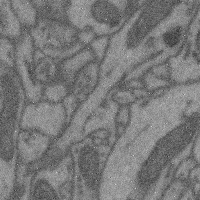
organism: Mouse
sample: Cerebral cortex